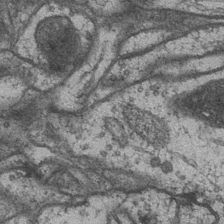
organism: Drosophila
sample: Optic medulla